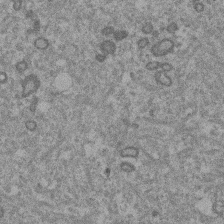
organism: Mouse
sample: Dividing mouse embryo 1 cell stage